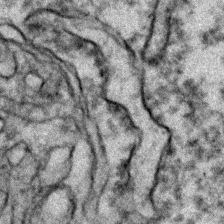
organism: Zebrafish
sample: Zebrafish embryo